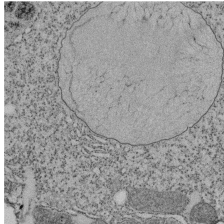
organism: Tetrahymena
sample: Cilia in tetrahymena